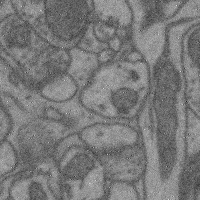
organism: Mouse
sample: Cerebral cortex